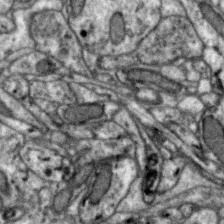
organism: Zebra finch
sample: Brain